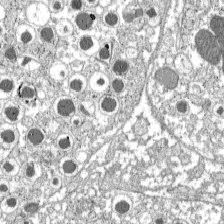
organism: C57BL Mouse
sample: Pancreatic islet